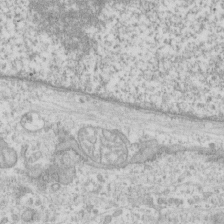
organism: Human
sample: CRL-1474